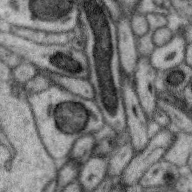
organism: Zebra finch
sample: Brain